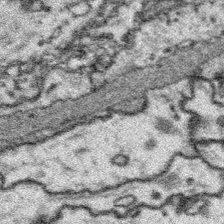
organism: Platynereis dumerilii